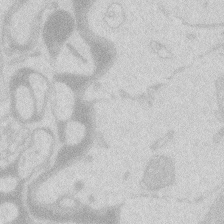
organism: Zebrafish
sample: Macrophage